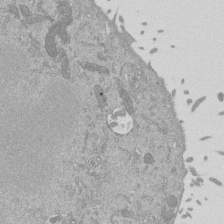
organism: Mouse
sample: ED-1 cell nuclei; centrioles